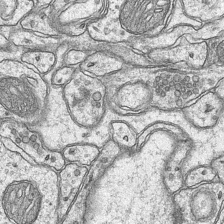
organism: Mouse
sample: CA1 Hippocampus